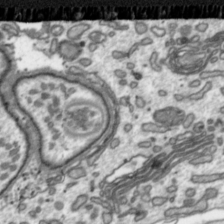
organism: Toxoplasma gondii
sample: Parasites in a vacuole inside a host cell